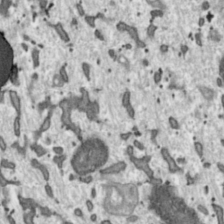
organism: Toxoplasma gondii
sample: Parasites in a vacuole inside a host cell